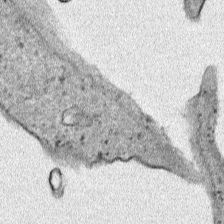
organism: Human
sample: Mitochondria in HCT116 cells